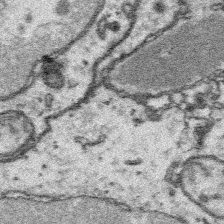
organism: Platynereis dumerilii